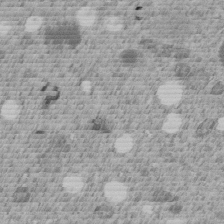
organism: C. elegans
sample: C. elegans embryo early stage